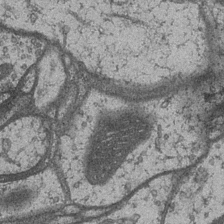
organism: Drosophila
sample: Optic medulla